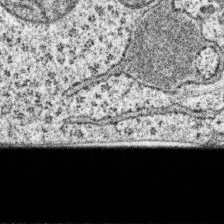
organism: Human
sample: HeLa cells